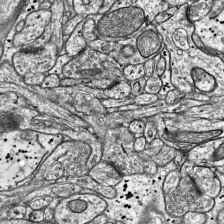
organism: Mouse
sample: Visual Cortex